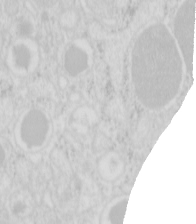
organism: Mouse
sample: Pancreas